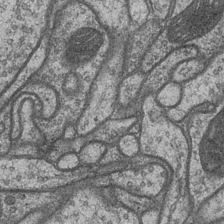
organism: Drosophila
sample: Optic medulla